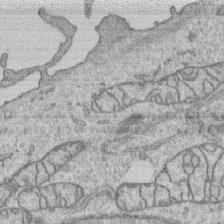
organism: Human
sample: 1205lu cells